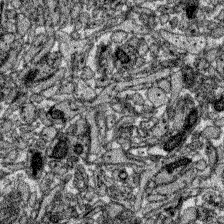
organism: Zebrafish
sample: Larval olfactory bulb